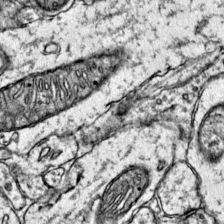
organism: Mouse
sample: Primary visual cortex